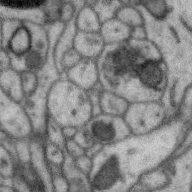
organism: Zebra finch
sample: Brain